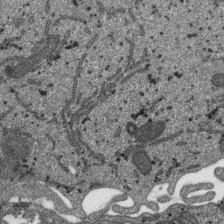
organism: Human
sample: Lung epithelial cells infected with SARS-CoV-2